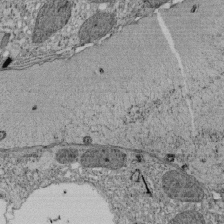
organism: Tetrahymena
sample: Cilia in tetrahymena